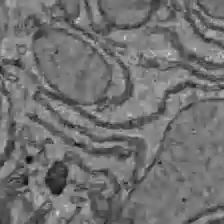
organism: C57BL Mouse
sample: Liver